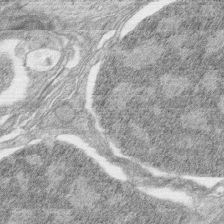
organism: Zebrafish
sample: synaptic ribbons in rod cells and cone cells